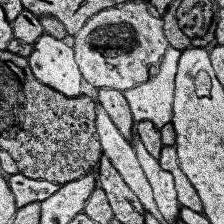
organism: Human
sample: Temporal Lobe